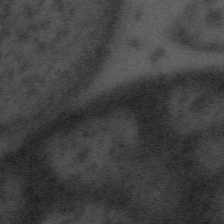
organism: Tuwongella immobilis